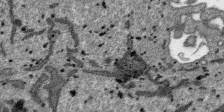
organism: Human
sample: Lung epithelial cells, uninfected (mock) control